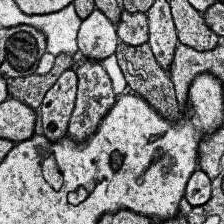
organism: Human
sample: Temporal Lobe